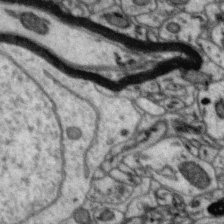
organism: Zebra finch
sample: Brain